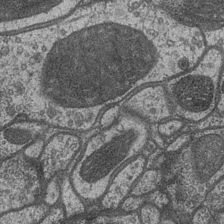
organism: Drosophila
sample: Optic medulla